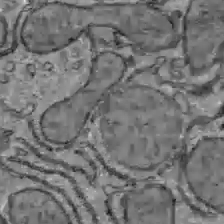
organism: C57BL Mouse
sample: Liver